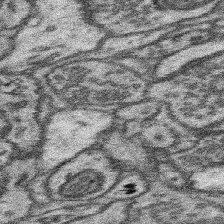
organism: Mouse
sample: Somatosensory cortex neuropil